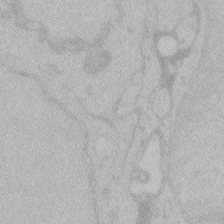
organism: Zebrafish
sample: Macrophage infected with Toxoplasma gondii